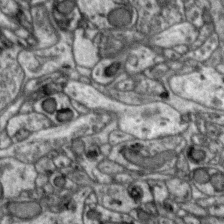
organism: Zebra finch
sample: Brain